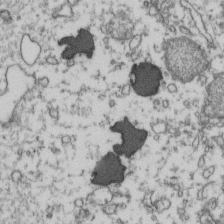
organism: Human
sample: Activated Jurkat CD4+ T cells